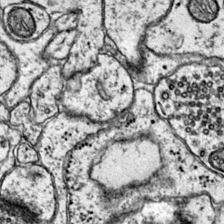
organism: Mouse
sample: Primary visual cortex